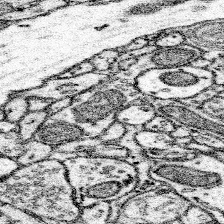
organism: Mouse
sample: Somatosensory cortex neuropil